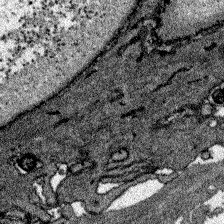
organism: Zebrafish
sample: Larval olfactory bulb